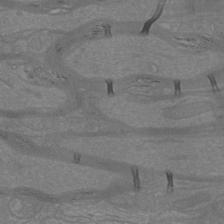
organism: Mouse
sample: Cortical neurons